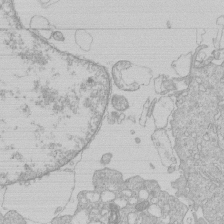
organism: Human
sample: Macrophage cells